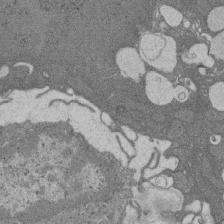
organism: Rat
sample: Salivary granule